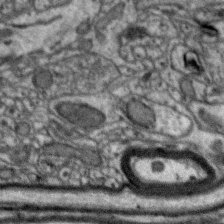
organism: Zebra finch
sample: Brain